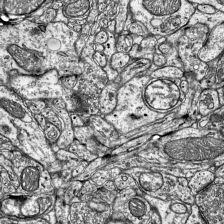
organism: Mouse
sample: Visual Cortex